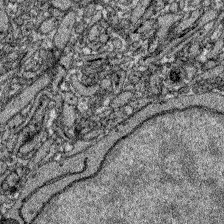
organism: Zebrafish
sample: Larval olfactory bulb